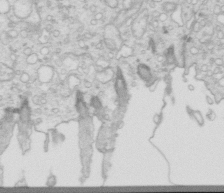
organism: Mouse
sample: Multiciliated cells